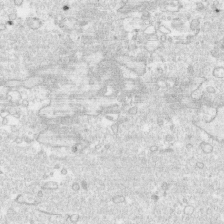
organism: Human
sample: CRL-1474